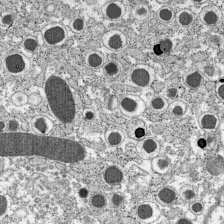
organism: C57BL Mouse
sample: Pancreatic islet